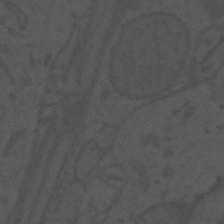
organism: Mouse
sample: Suprachiasmatic nucleus